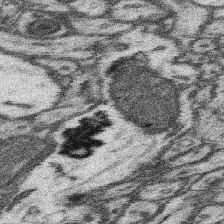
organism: Mouse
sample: Somatosensory cortex neuropil